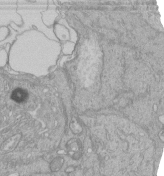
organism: Human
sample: Retinal organoid Rod and Cone cells